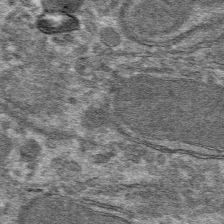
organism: Mouse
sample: Mouse hepatocytes